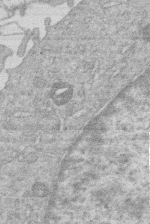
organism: Human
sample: Macrophage cells